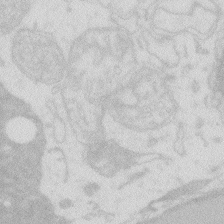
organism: Zebrafish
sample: Macrophage